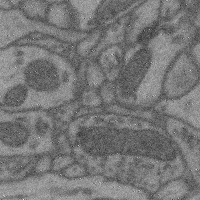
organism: Mouse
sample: Cerebral cortex